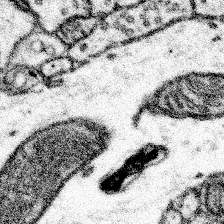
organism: Mouse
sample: Somatosensory cortex neuropil